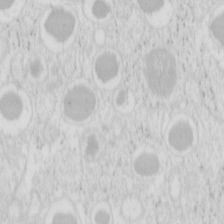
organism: Mouse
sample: Pancreas